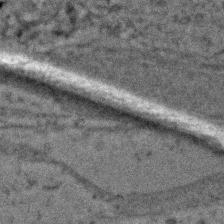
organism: Zebrafish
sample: Zebrafish embryo